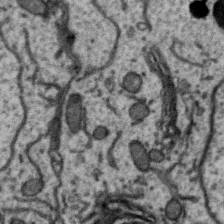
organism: Zebra finch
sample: Brain